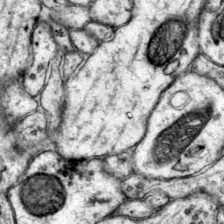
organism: Mouse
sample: Primary visual cortex